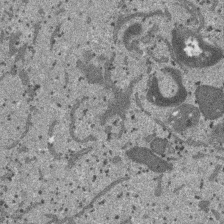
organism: Human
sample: Lung epithelial cells infected with SARS-CoV-2